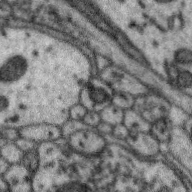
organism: Zebra finch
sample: Brain